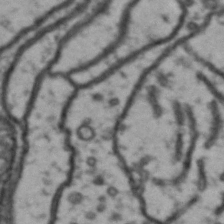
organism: Drosophila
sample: Brain